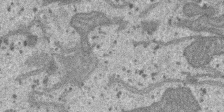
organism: Human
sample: Lung epithelial cells infected with SARS-CoV-2